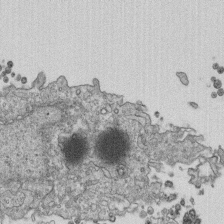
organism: Human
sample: HeLa cell HIV synapse